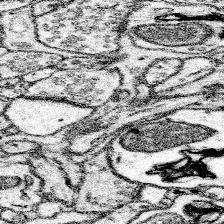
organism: Mouse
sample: Somatosensory cortex neuropil